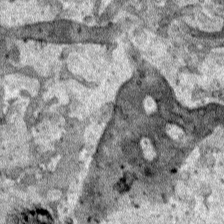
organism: Human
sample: Mitochondria in HCT116 cells